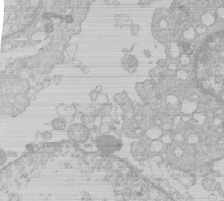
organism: Human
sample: Macrophage cells